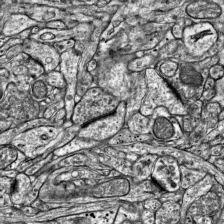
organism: Mouse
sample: Visual Cortex